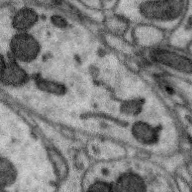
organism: Zebra finch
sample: Brain